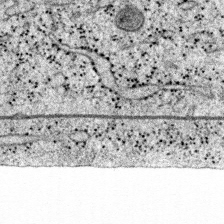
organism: Human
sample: HeLa cells